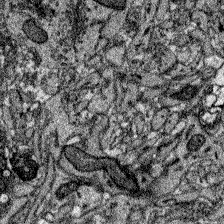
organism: Zebrafish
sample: Larval olfactory bulb